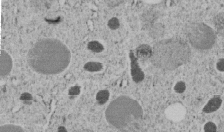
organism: C. elegans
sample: C. elegans embryo early stage